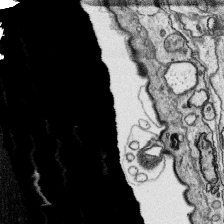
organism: Platynereis dumerilii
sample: Parapodia